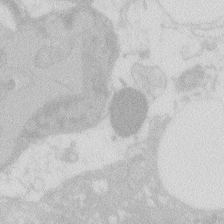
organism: Zebrafish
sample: Macrophage